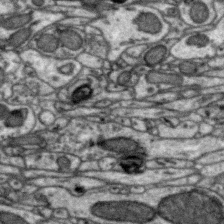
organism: Zebra finch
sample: Brain